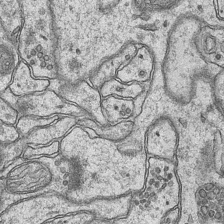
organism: Mouse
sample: CA1 Hippocampus